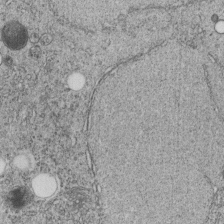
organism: C. elegans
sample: C. elegans embryo early stage